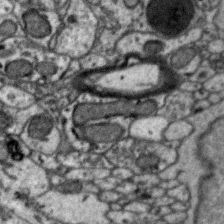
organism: Zebra finch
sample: Brain